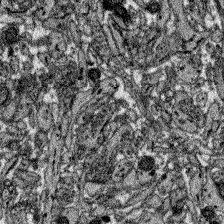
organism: Zebrafish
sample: Larval olfactory bulb